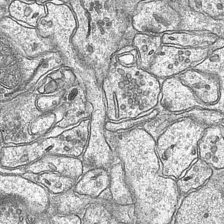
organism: Mouse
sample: CA1 Hippocampus